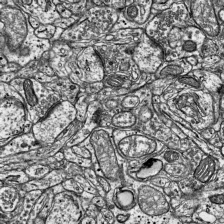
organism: Mouse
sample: Visual Cortex